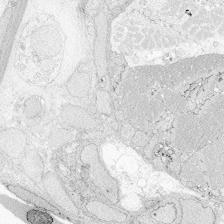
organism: Zebrafish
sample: Whole-Brain